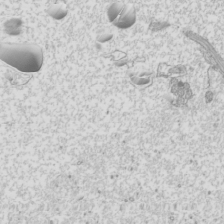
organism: Mouse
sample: Cilia; mouse epididymis